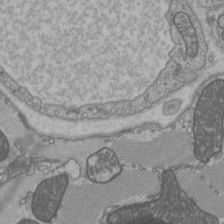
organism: C57BL Mouse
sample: Heart